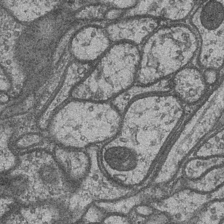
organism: Drosophila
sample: Optic medulla